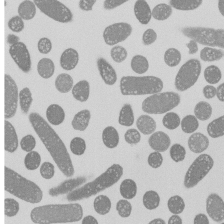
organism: E. coli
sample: Bacterial nucleoid